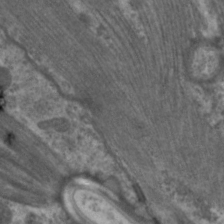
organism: C. elegans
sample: Pharynx